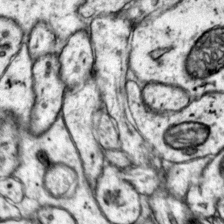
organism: Mouse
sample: Primary visual cortex